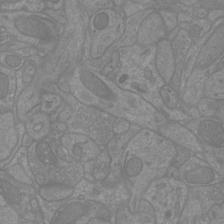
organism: Mouse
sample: Cortical neurons